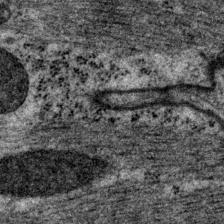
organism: P. pacificus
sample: Pharynx